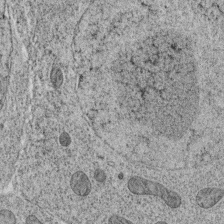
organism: C. elegans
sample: C. elegans oocyte; sperm cells